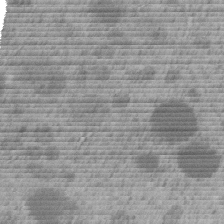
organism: C. elegans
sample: C. elegans embryo early stage